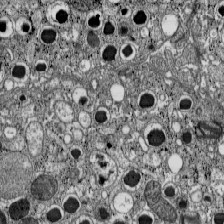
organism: C57BL Mouse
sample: Pancreatic islet